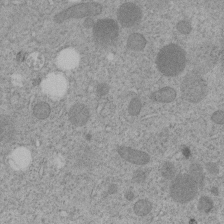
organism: C. elegans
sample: C. elegans embryo early stage